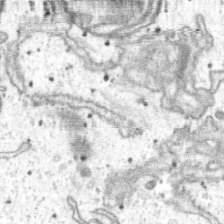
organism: Human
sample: HeLa cells